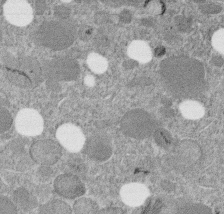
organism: C. elegans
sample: C. elegans embryo early stage